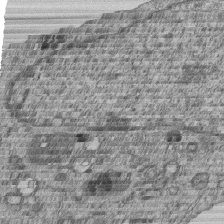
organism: Human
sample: MDA-MB-231 cells